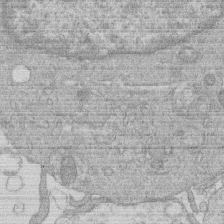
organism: Human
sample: Macrophage cells